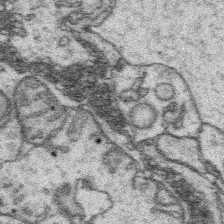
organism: Platynereis dumerilii